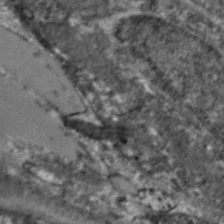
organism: Zebrafish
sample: Zebrafish embryo